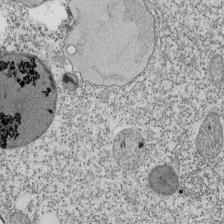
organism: Tetrahymena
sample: Cilia in tetrahymena